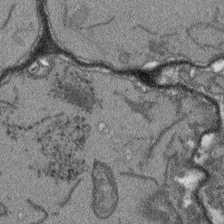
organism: Arabidopsis thaliana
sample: Root tip